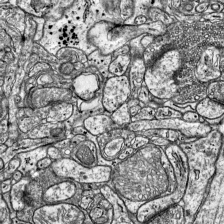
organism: Mouse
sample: Visual Cortex